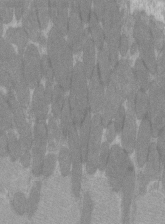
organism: C57BL Mouse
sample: Tibialis anterior muscle cell